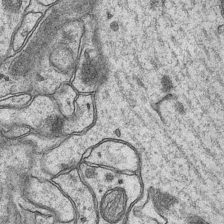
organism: Mouse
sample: CA1 Hippocampus